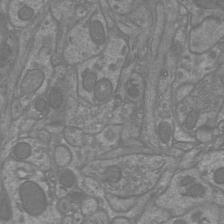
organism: Mouse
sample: Cortical neurons